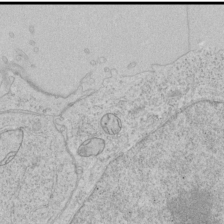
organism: Human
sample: Mitochondria in HCT116 cells